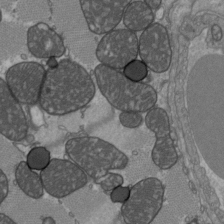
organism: C57BL Mouse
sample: Heart